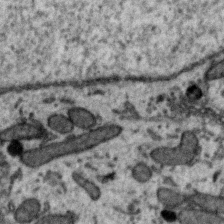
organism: Zebra finch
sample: Brain